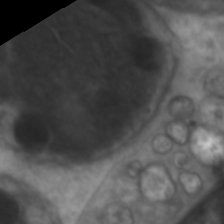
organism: C. elegans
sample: Pharynx